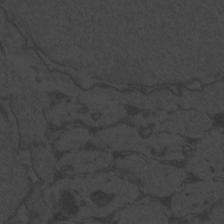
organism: Zebrafish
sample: Macrophage infected with Toxoplasma gondii